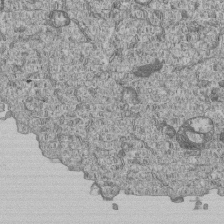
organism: Human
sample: MDA-MB-231 cells